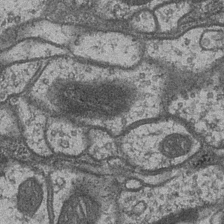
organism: Drosophila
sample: Optic medulla